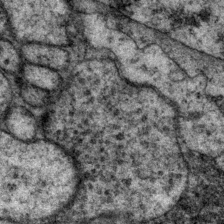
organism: P. pacificus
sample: Pharynx